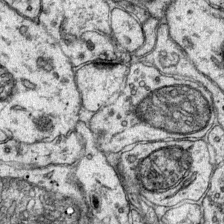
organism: Mouse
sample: Primary visual cortex